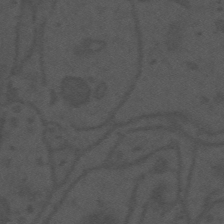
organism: Mouse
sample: Suprachiasmatic nucleus